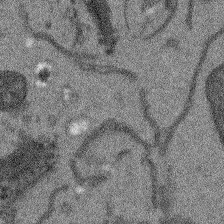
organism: Arabidopsis thaliana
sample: Root tip